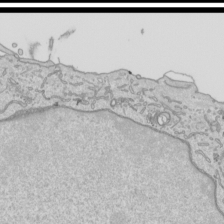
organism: Human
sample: Mitochondria in HCT116 cells